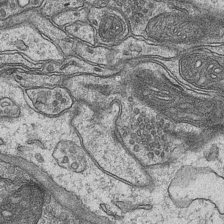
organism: Mouse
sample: CA1 Hippocampus